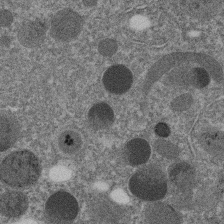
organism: C. elegans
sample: C. elegans embryo early stage